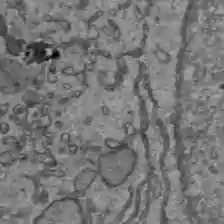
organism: C57BL Mouse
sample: Liver